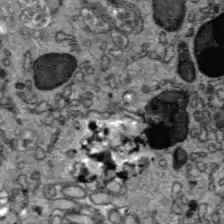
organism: C57BL Mouse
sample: Liver